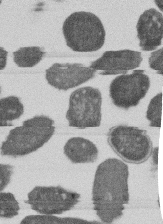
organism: E. coli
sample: Bacterial nucleoid